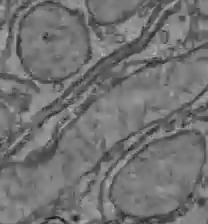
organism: C57BL Mouse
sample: Liver